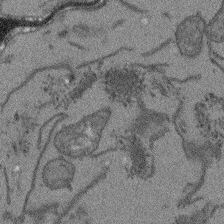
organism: Arabidopsis thaliana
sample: Root tip